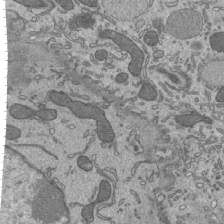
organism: Mouse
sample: Mouse epididymis efferent ductule cilia